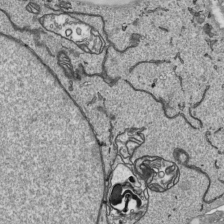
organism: Human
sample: Mitochondria in HCT116 cells